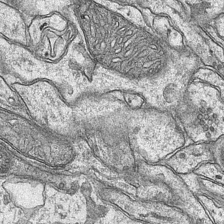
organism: Mouse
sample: CA1 Hippocampus